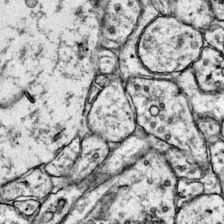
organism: Mouse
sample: Primary visual cortex